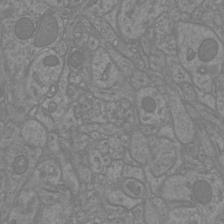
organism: Mouse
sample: Cortical neurons